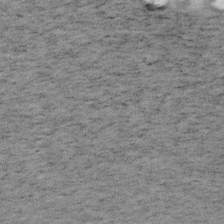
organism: Mouse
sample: OT-I killer T cells with ID8 ovarian cancer cells